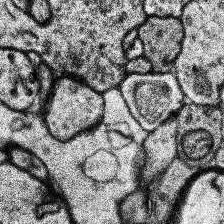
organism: Human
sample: Temporal Lobe